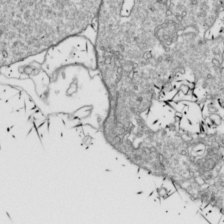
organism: Drosophila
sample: Cell division; meiosis; drosophila spermatocytes